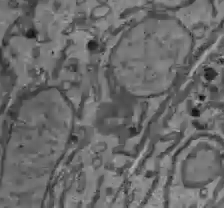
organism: C57BL Mouse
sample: Liver